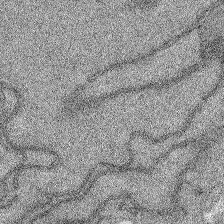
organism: Human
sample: HeLa cells